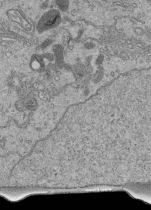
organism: Human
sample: Retinal organoid Rod and Cone cells